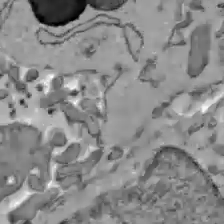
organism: C57BL Mouse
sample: Liver